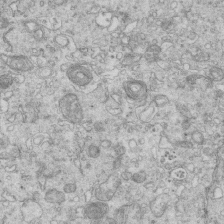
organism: Mouse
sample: Multiciliated cells